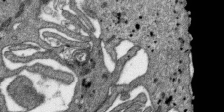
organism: Human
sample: Lung epithelial cells, uninfected (mock) control